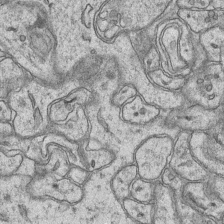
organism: Mouse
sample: CA1 Hippocampus